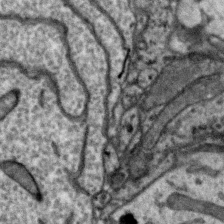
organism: Zebra finch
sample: Brain